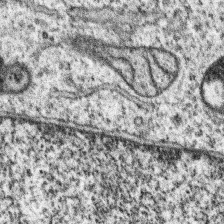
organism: Human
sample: HeLa cells